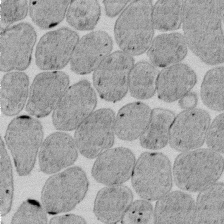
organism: E. coli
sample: Bacterial nucleoid